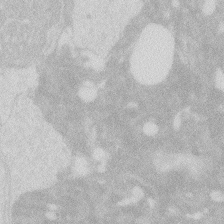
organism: Zebrafish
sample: Macrophage